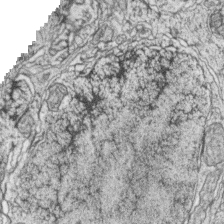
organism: Zebrafish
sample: synaptic ribbons in rod cells and cone cells